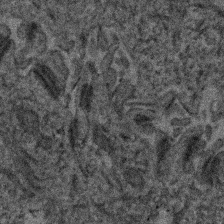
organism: Human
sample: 1205lu cells